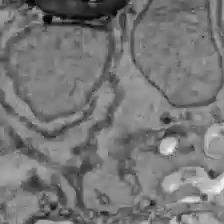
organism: C57BL Mouse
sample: Liver